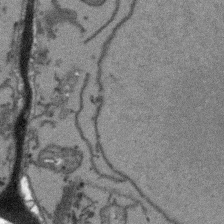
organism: Arabidopsis thaliana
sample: Root tip